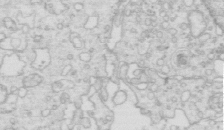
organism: Mouse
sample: Multiciliated cells